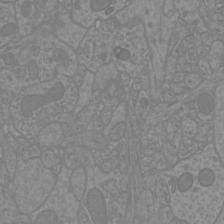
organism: Mouse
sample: Cortical neurons